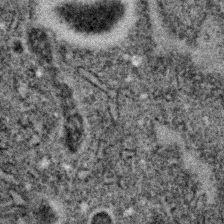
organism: C. elegans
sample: C. elegans embryo